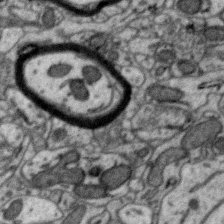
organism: Zebra finch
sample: Brain